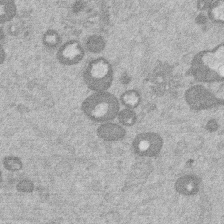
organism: Mouse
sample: Dividing mouse embryo 1 cell stage